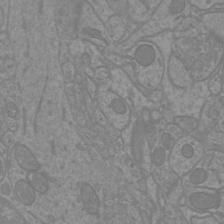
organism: Mouse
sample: Cortical neurons